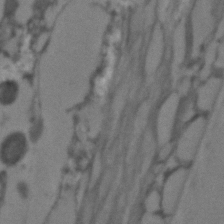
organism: C. elegans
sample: C. elegans embryo